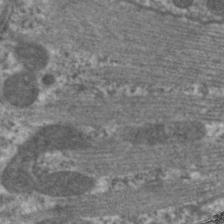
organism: C. elegans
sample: Pharynx